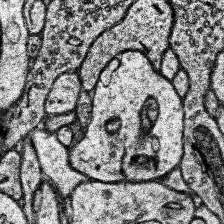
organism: Human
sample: Temporal Lobe